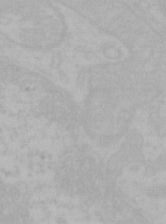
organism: Mouse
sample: Choroid plexus